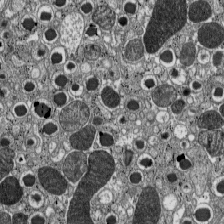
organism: C57BL Mouse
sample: Pancreatic islet